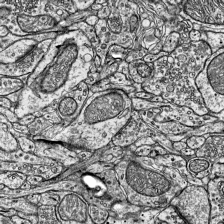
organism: Mouse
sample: Visual Cortex